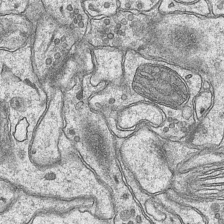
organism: Mouse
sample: CA1 Hippocampus